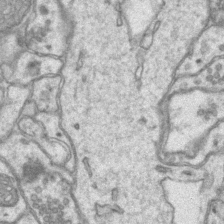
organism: Mouse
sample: CA1 Hippocampus